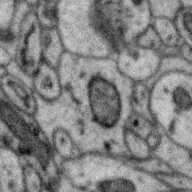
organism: Zebra finch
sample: Brain